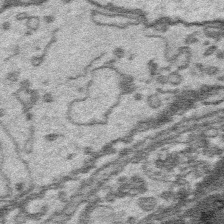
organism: Platynereis dumerilii